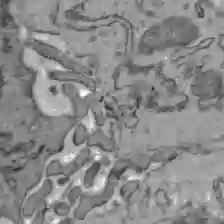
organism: C57BL Mouse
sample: Liver